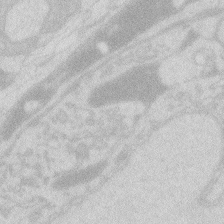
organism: Zebrafish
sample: Macrophage